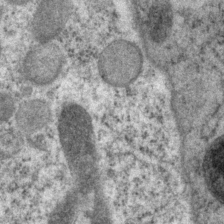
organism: P. pacificus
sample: Pharynx